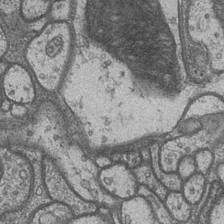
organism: Drosophila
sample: Optic medulla